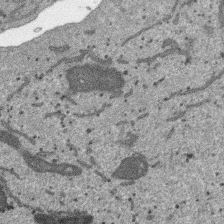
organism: Human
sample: Lung epithelial cells infected with SARS-CoV-2